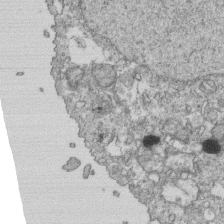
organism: Human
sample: HeLa cell HIV synapse